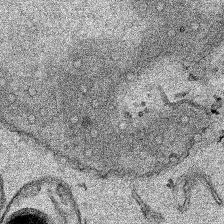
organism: Human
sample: Mitochondria in HCT116 cells